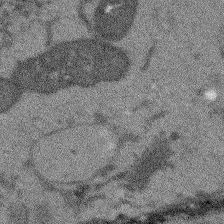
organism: Arabidopsis thaliana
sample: Root tip